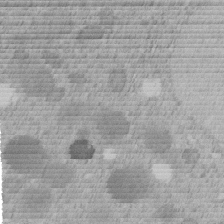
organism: C. elegans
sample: C. elegans embryo early stage